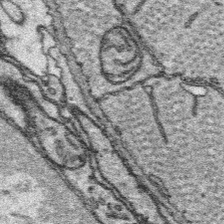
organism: Platynereis dumerilii